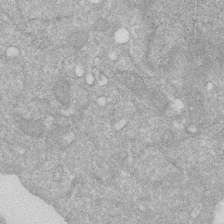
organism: Human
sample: HIV infected U937 cells